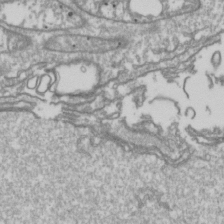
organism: Drosophila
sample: Cell division; meiosis; drosophila spermatocytes